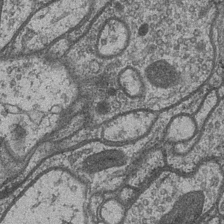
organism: Drosophila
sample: Optic medulla